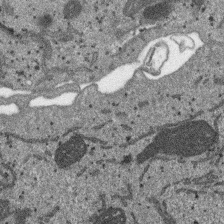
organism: Human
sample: Lung epithelial cells infected with SARS-CoV-2